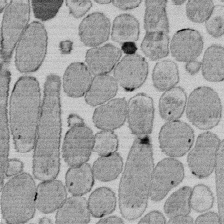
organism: E. coli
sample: Bacterial nucleoid